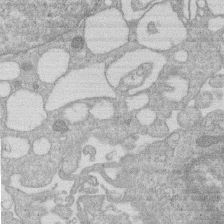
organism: Human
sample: Macrophage cells